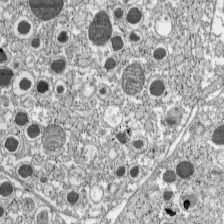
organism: C57BL Mouse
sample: Pancreatic islet